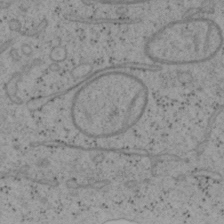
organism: Human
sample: HeLa cells